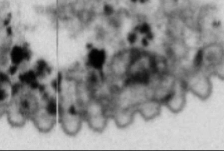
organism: Cable bacterium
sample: Filament